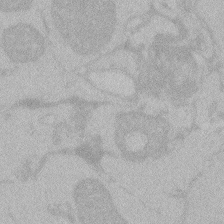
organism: Zebrafish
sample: Macrophage infected with Toxoplasma gondii